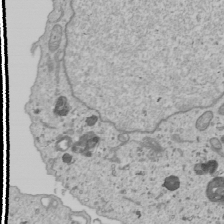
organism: Human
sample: Mitochondria in U2OS cells